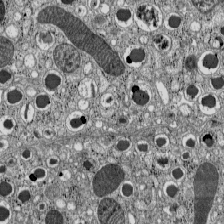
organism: C57BL Mouse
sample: Pancreatic islet